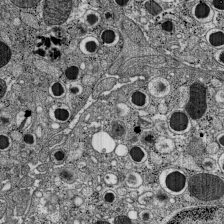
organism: C57BL Mouse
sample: Pancreatic islet